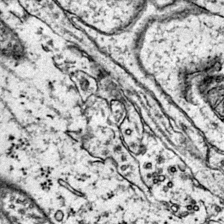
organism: Mouse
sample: Primary visual cortex